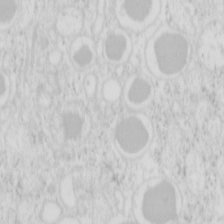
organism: Mouse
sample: Pancreas